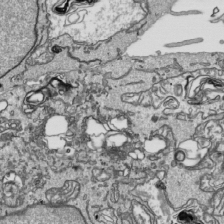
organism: Human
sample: Mitochondria in HCT116 cells